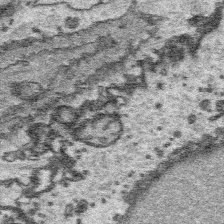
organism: Platynereis dumerilii